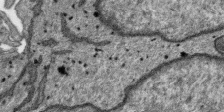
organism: Human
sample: Lung epithelial cells, uninfected (mock) control